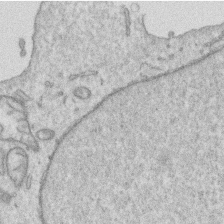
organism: Human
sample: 1205lu cells